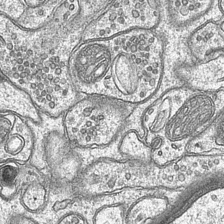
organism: Mouse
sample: CA1 Hippocampus